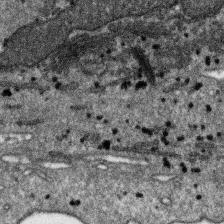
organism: Human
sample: Lung epithelial cells infected with SARS-CoV-2